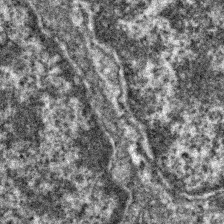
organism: Zebrafish